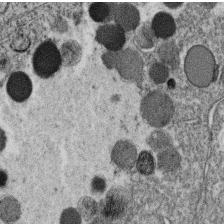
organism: C. elegans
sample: C. elegans oocyte; sperm cells